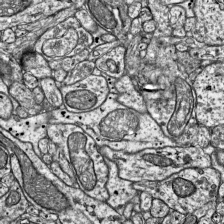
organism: Mouse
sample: Visual Cortex